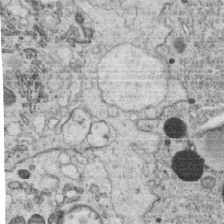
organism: C. elegans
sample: C. elegans oocyte; sperm cells